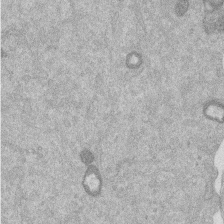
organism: Mouse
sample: Dividing mouse embryo 1 cell stage